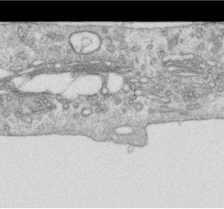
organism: Human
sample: Centriole in RPE cells